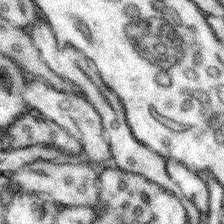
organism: Mouse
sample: Somatosensory cortex neuropil